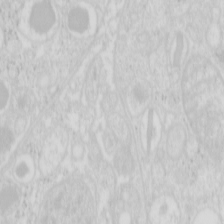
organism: Mouse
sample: Pancreas